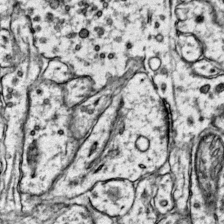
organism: Mouse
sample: Primary visual cortex